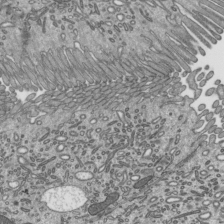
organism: Mouse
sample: Mouse epididymis efferent ductule cilia